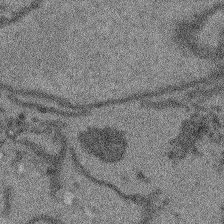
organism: Arabidopsis thaliana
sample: Root tip